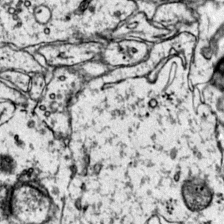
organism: Mouse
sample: Primary visual cortex